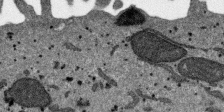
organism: Human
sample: Lung epithelial cells, uninfected (mock) control